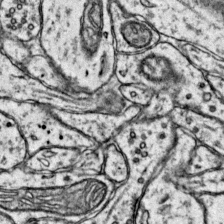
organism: Mouse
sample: Primary visual cortex